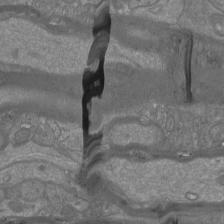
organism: Mouse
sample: Cortical neurons